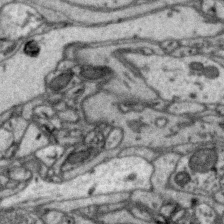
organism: Zebra finch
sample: Brain